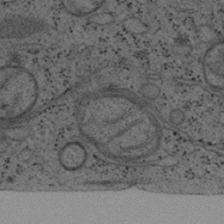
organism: Human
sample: HeLa cells